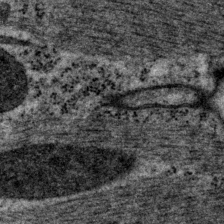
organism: P. pacificus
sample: Pharynx